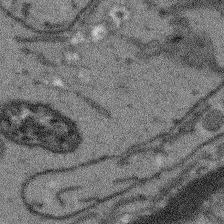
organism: Arabidopsis thaliana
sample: Root tip